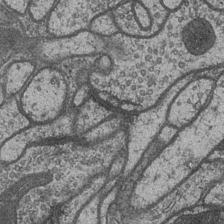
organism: Drosophila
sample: Optic medulla